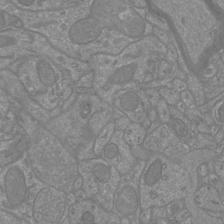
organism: Mouse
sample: Cortical neurons